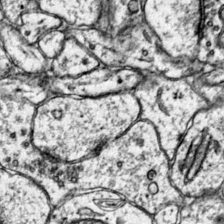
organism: Mouse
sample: Primary visual cortex